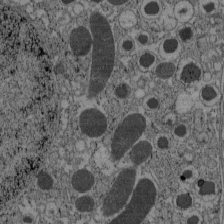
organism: C57BL Mouse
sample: Pancreatic islet